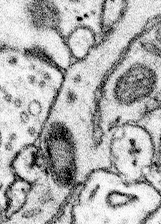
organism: Mouse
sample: Somatosensory cortex neuropil